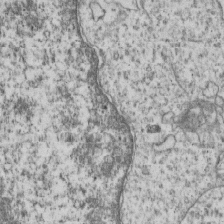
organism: Human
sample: MDA-MB-231 cells